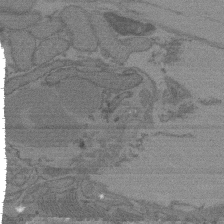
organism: C. elegans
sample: AFD neurons C. elegans